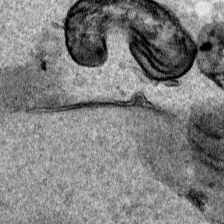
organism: Human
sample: Mitochondria in HCT116 cells